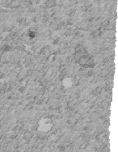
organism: C. elegans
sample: C. elegans embryo early stage